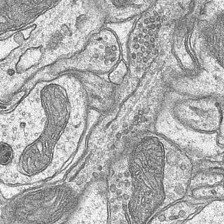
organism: Mouse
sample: CA1 Hippocampus